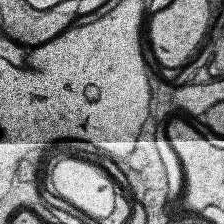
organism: Human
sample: Temporal Lobe